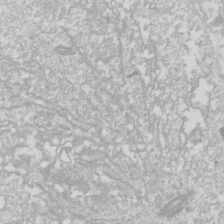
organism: Drosophila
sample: Cell division; meiosis; drosophila spermatocytes